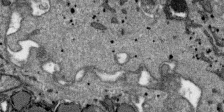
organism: Human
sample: Lung epithelial cells, uninfected (mock) control